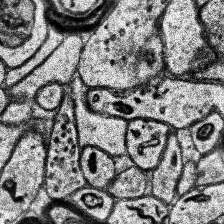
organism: Human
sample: Temporal Lobe